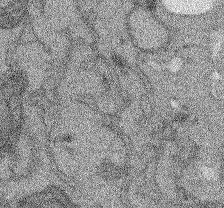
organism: Human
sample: HeLa cells